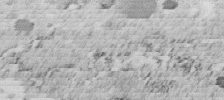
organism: C. elegans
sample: C. elegans embryo early stage